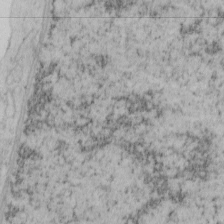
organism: Human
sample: HeLa cells